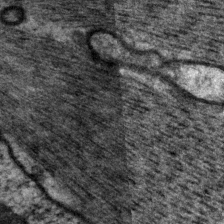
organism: P. pacificus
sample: Pharynx